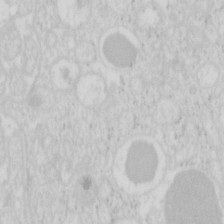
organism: Mouse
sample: Pancreas